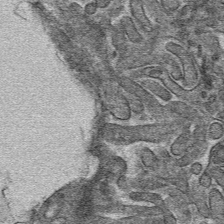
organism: Mouse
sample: Mouse hepatocytes